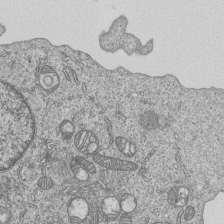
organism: Human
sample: MDA-MB-231 cells